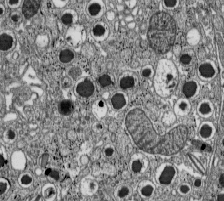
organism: C57BL Mouse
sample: Pancreatic islet